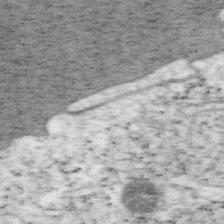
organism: Mouse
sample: OT-I killer T cells with ID8 ovarian cancer cells